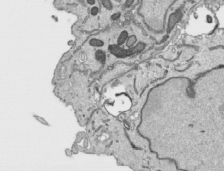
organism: Human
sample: Mitochondria in HCT116 cells